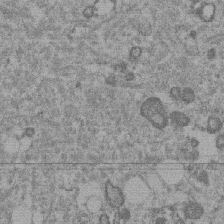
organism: Mouse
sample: Dividing mouse embryo 1 cell stage